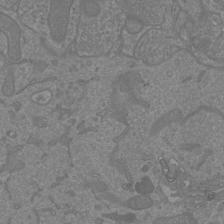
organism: Mouse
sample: Cortical neurons